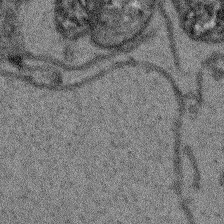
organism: Arabidopsis thaliana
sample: Root tip